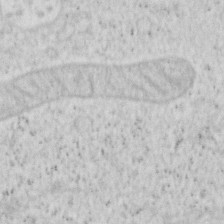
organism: Human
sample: HeLa cells